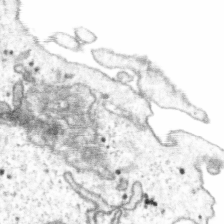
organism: Human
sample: HeLa cells